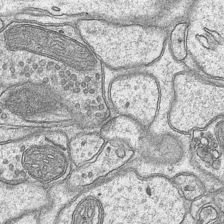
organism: Mouse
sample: CA1 Hippocampus